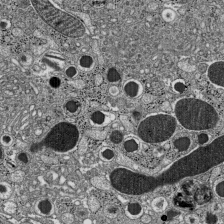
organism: C57BL Mouse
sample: Pancreatic islet